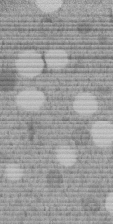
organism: C. elegans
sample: C. elegans embryo early stage